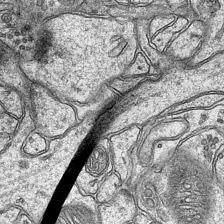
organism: Mouse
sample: CA1 Hippocampus